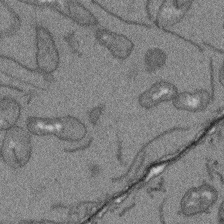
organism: Arabidopsis thaliana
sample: Root tip